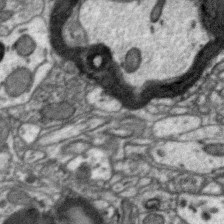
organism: Zebra finch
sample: Brain